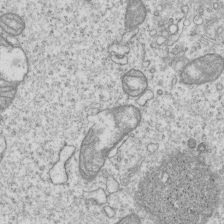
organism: Human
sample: MDA-MB-231 cells